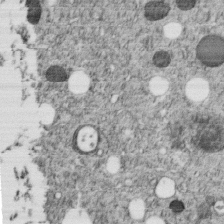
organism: C. elegans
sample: C. elegans embryo early stage